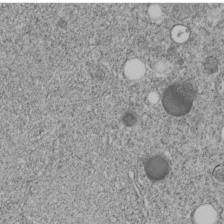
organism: C. elegans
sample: C. elegans embryo early stage